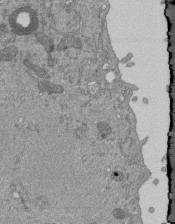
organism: Mouse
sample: ED-1 cell nuclei; centrioles